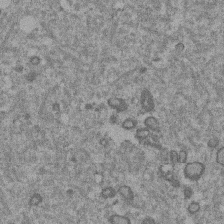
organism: Mouse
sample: Dividing mouse embryo 1 cell stage